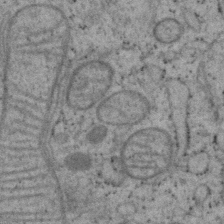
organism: Human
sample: HeLa cells